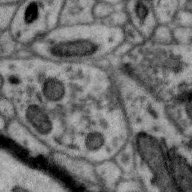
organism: Zebra finch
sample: Brain